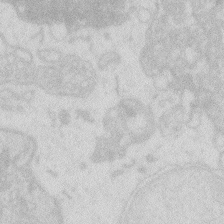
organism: Zebrafish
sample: Macrophage